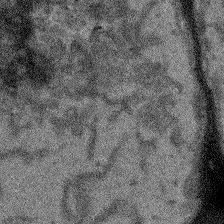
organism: Arabidopsis thaliana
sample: Root tip